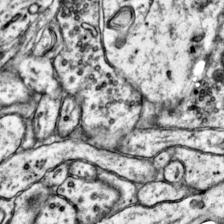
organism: Mouse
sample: Primary visual cortex